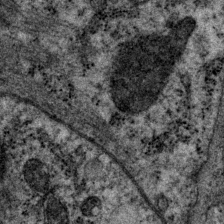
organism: P. pacificus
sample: Pharynx